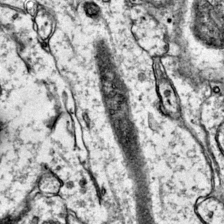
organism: Mouse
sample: Primary visual cortex